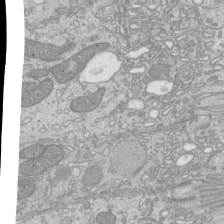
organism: Mouse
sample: Cilia; mouse epididymis